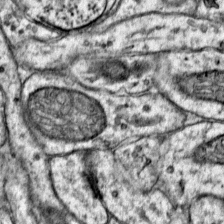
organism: Mouse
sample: Primary visual cortex